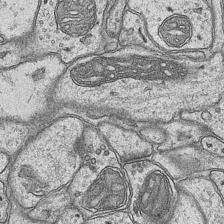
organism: Mouse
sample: CA1 Hippocampus